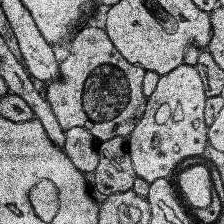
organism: Human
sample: Temporal Lobe